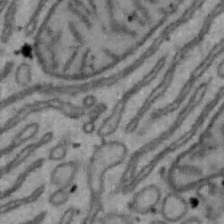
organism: Mouse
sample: Liver